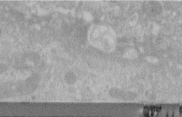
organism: Human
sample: Centriole in RPE cells